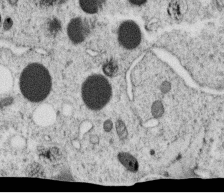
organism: C. elegans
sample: C. elegans oocyte; sperm cells